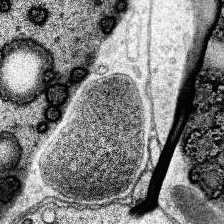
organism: Human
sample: Temporal Lobe